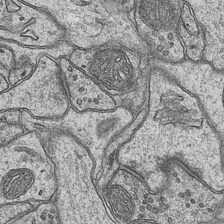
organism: Mouse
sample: CA1 Hippocampus